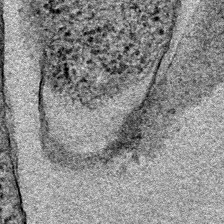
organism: E. coli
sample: E. Coli Bacteria